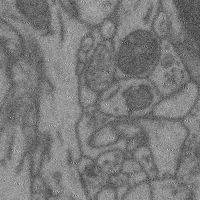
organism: Mouse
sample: Cerebral cortex